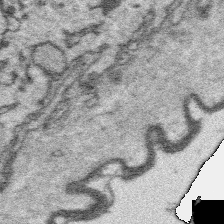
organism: Platynereis dumerilii